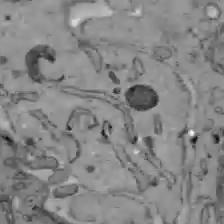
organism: C57BL Mouse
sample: Liver